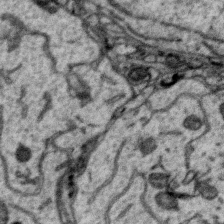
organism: Zebra finch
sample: Brain